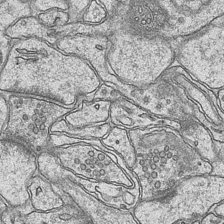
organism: Mouse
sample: CA1 Hippocampus